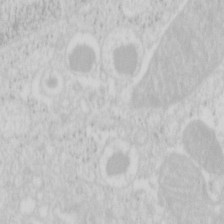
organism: Mouse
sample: Pancreas